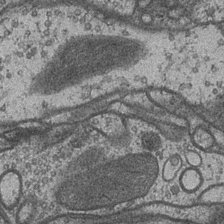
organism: Drosophila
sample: Optic medulla